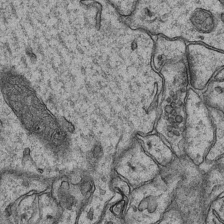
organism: Mouse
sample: CA1 Hippocampus